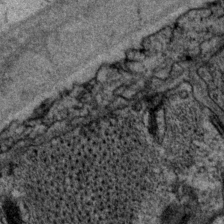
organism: P. pacificus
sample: Pharynx